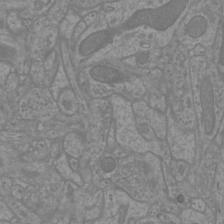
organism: Mouse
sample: Cortical neurons